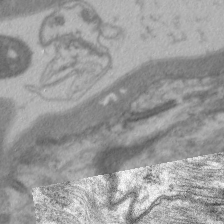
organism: C. elegans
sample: Pharynx